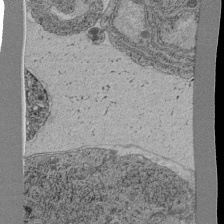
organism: C. elegans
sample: C. elegans pharynx